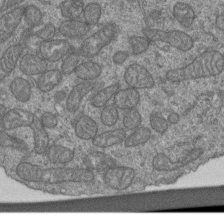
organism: Human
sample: Retinal organoid Rod and Cone cells